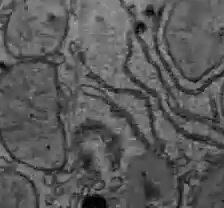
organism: C57BL Mouse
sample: Liver